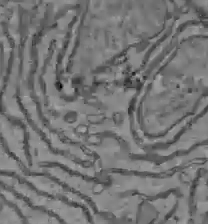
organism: C57BL Mouse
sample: Liver